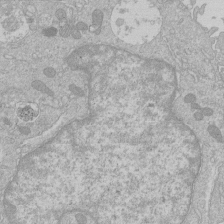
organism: Human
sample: Macrophage cells